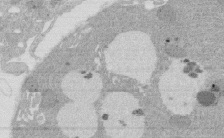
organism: Rat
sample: Salivary granule